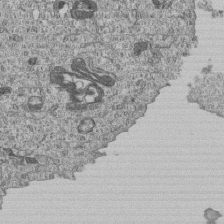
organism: Human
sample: MDA-MB-231 cells